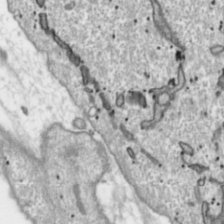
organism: Toxoplasma gondii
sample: Parasites in a vacuole inside a host cell